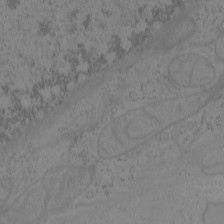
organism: Human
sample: HeLa cells